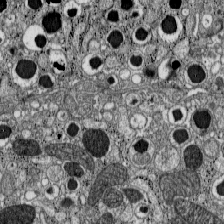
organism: C57BL Mouse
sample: Pancreatic islet